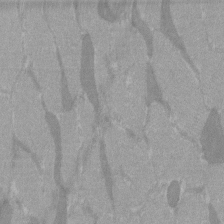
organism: C57BL Mouse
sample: Tibialis anterior muscle cell